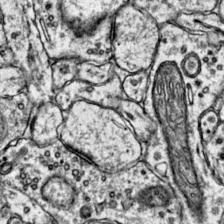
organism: Mouse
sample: Primary visual cortex